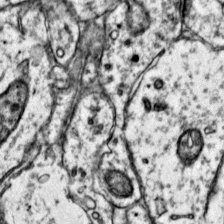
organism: Mouse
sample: Primary visual cortex